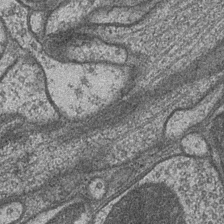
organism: Drosophila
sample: Optic medulla